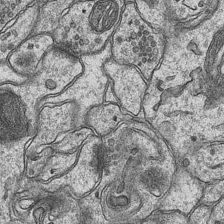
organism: Mouse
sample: CA1 Hippocampus